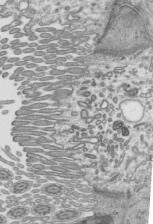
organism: Mouse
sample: Mouse epididymis efferent ductule cilia